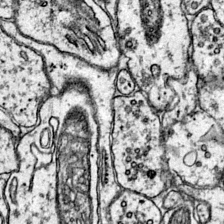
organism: Mouse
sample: Primary visual cortex